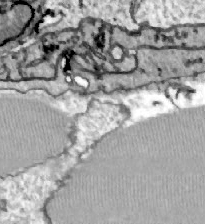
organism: Zebrafish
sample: Actinotrichia fibers